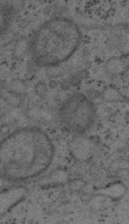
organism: Human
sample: HeLa cells